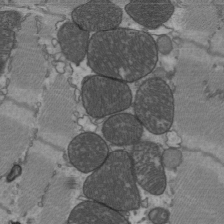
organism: C57BL Mouse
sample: Heart